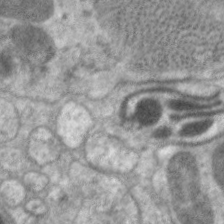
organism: C. elegans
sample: Pharynx